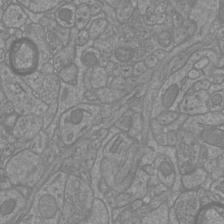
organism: Mouse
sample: Cortical neurons